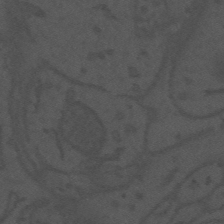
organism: Mouse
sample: Suprachiasmatic nucleus